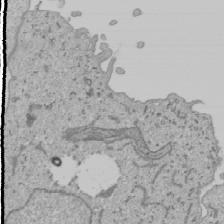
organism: Human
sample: Mitochondria in U2OS cells